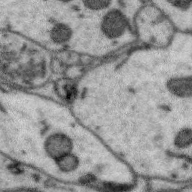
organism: Zebra finch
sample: Brain